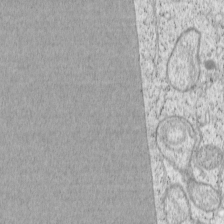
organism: African green monkey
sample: COS-7 cells